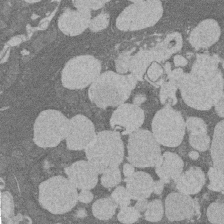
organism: Rat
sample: Salivary granule